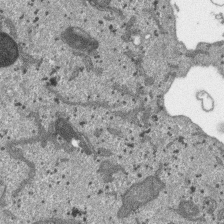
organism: Human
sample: Lung epithelial cells infected with SARS-CoV-2